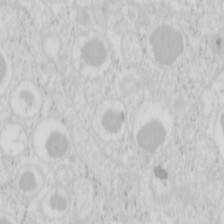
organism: Mouse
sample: Pancreas